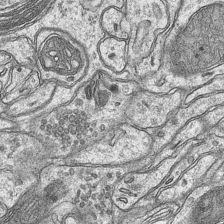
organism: Mouse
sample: CA1 Hippocampus